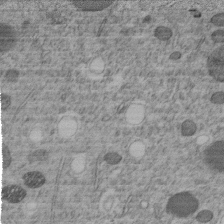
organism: C. elegans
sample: C. elegans embryo early stage